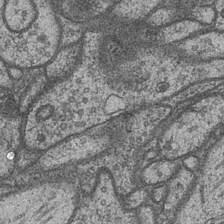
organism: Drosophila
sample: Optic medulla